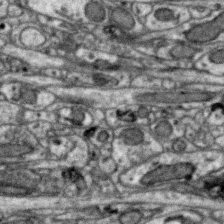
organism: Zebra finch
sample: Brain